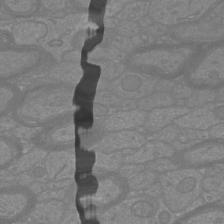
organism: Mouse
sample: Cortical neurons